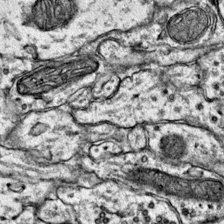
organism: Mouse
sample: Primary visual cortex